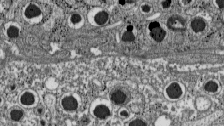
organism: C57BL Mouse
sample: Pancreatic islet